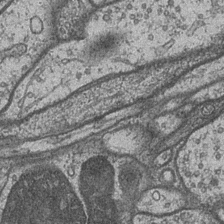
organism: Drosophila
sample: Optic medulla